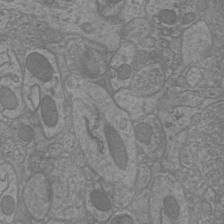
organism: Mouse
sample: Cortical neurons